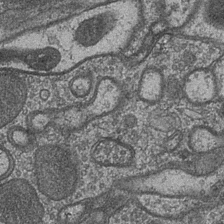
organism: Drosophila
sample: Optic medulla